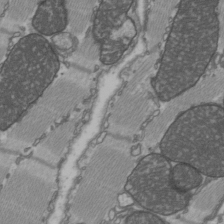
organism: C57BL Mouse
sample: Heart